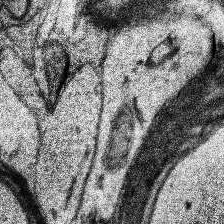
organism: Human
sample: Temporal Lobe